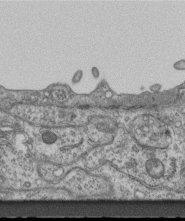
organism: Mouse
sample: Centriole in ependymal cells